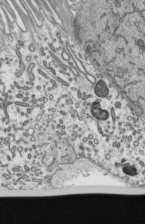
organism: Mouse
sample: Mouse epididymis efferent ductule cilia